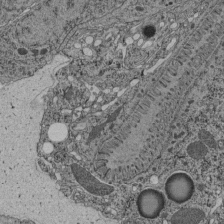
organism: C. elegans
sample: C. elegans pharynx